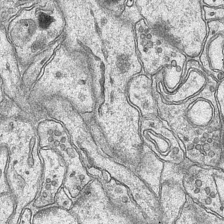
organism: Mouse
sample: CA1 Hippocampus